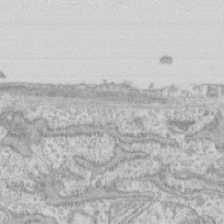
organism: Human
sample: CRL-1474